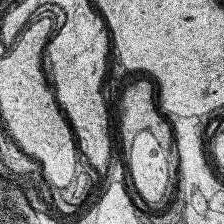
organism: Human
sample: Temporal Lobe